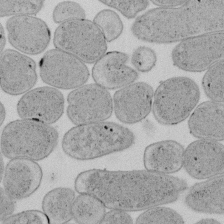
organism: E. coli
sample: Bacterial nucleoid